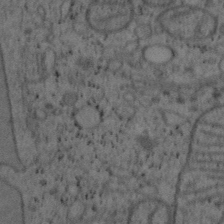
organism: Human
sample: HeLa cells